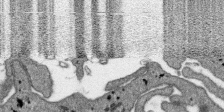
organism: Human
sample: Lung epithelial cells, uninfected (mock) control